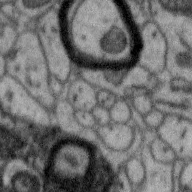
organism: Zebra finch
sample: Brain